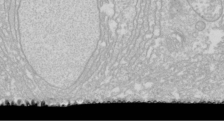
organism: Drosophila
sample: Cell division; meiosis; drosophila spermatocytes